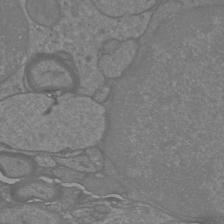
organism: Mouse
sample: Cortical neurons